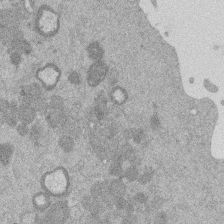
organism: Mouse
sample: Dividing mouse embryo 1 cell stage